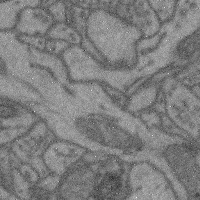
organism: Mouse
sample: Cerebral cortex